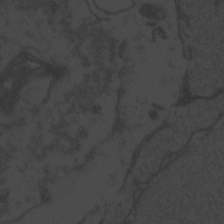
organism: Zebrafish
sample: Macrophage infected with Toxoplasma gondii